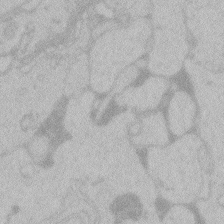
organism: Zebrafish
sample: Macrophage infected with Toxoplasma gondii